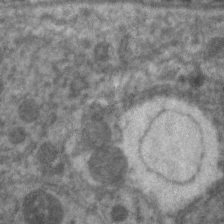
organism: C. elegans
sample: Pharynx